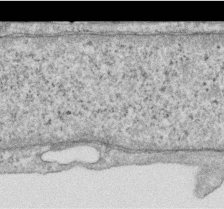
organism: Human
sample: Centriole in RPE cells